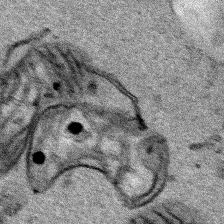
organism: Human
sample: Mitochondria in HCT116 cells